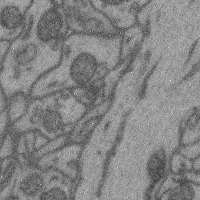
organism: Mouse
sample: Cerebral cortex